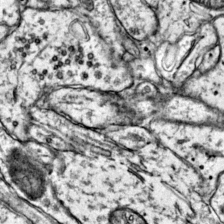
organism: Mouse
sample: Primary visual cortex